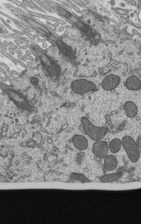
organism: Mouse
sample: Mouse epididymis efferent ductule cilia